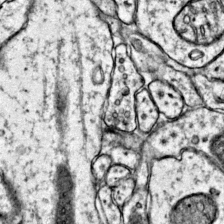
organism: Mouse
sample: Primary visual cortex